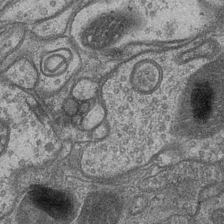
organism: Drosophila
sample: Optic medulla